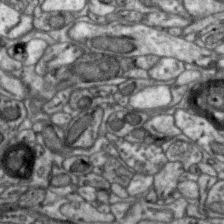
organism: Zebra finch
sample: Brain